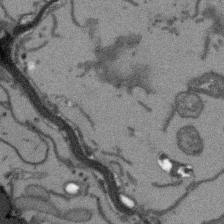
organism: Arabidopsis thaliana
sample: Root tip